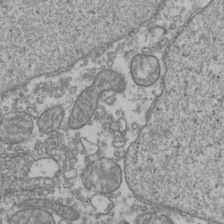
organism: Human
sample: Activated Jurkat CD4+ T cells